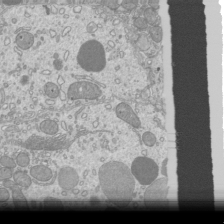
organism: Mouse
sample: Cilia; mouse epididymis